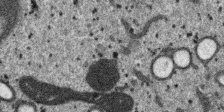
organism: Human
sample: Lung epithelial cells infected with SARS-CoV-2